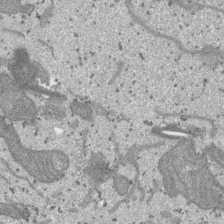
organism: Human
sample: Lung epithelial cells infected with SARS-CoV-2